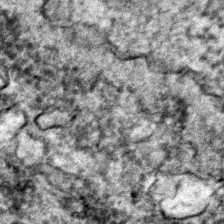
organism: Zebrafish